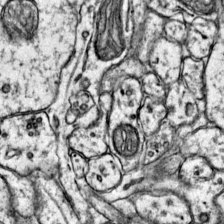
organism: Mouse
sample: Primary visual cortex